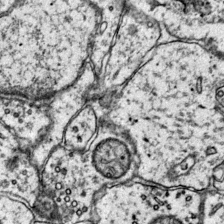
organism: Mouse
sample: Primary visual cortex